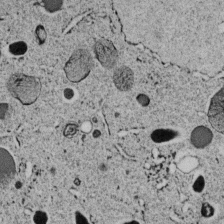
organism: C. elegans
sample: C. elegans embryo early stage